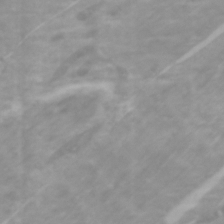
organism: Zebrafish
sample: Zebrafish embryo